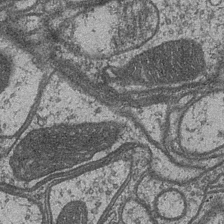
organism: Drosophila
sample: Optic medulla